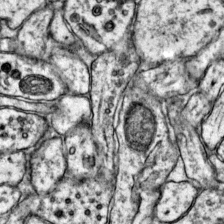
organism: Mouse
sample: Primary visual cortex